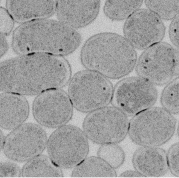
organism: E. coli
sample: Bacterial nucleoid